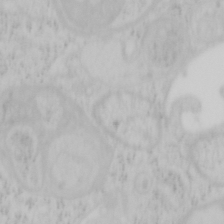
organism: Mouse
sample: OT-I killer T cells with ID8 ovarian cancer cells